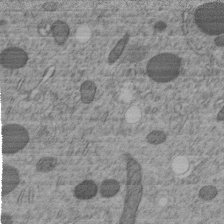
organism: C. elegans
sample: C. elegans embryo early stage